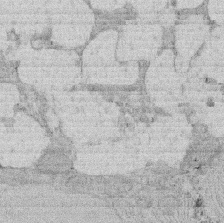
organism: Rat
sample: Salivary granule